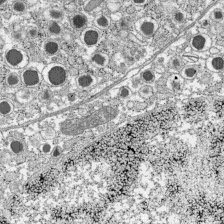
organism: C57BL Mouse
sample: Pancreatic islet